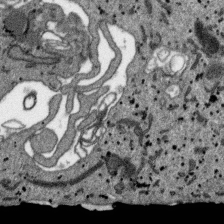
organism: Human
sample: Lung epithelial cells, uninfected (mock) control